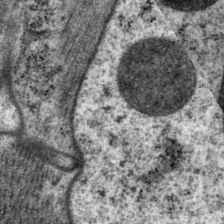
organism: P. pacificus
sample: Pharynx